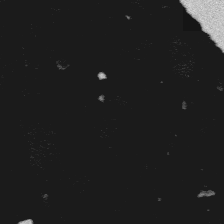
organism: Platynereis dumerilii